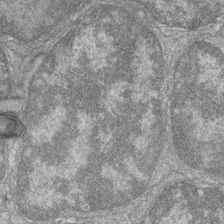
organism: Zebrafish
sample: Cilia; retinal pigment epithelium